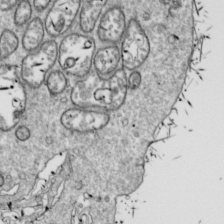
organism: Drosophila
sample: Cell division; meiosis; drosophila spermatocytes